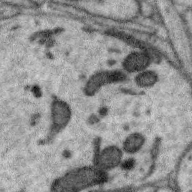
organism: Zebra finch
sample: Brain